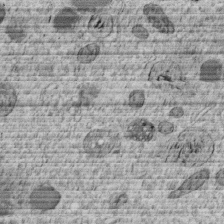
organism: C. elegans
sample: C. elegans embryo early stage